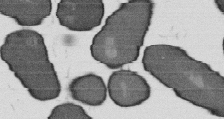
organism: B. subtilis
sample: Bacterial spore